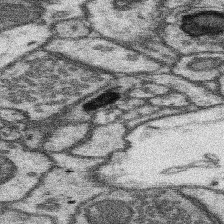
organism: Mouse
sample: Somatosensory cortex neuropil